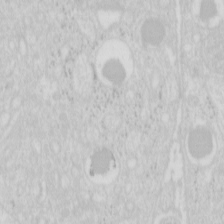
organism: Mouse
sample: Pancreas